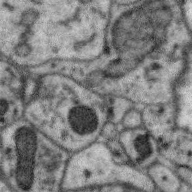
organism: Zebra finch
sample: Brain